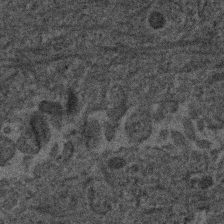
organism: Human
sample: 1205lu cells